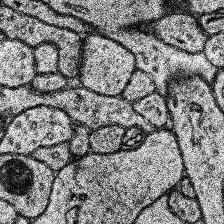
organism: Human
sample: Temporal Lobe